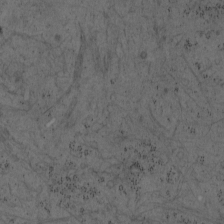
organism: Mouse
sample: OT-I killer T cells with ID8 ovarian cancer cells